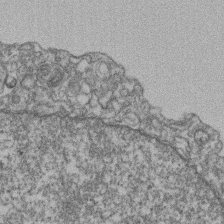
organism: Mouse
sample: T cell stromal cell synapse